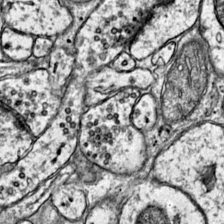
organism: Mouse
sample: Primary visual cortex